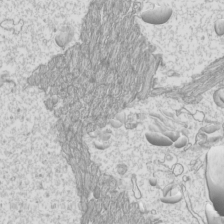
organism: Mouse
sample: Cilia; mouse epididymis